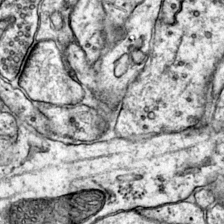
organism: Mouse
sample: Primary visual cortex